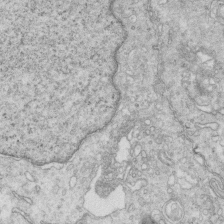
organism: Mouse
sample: Multiciliated cells